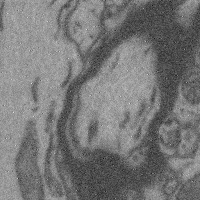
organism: Mouse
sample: Cerebral cortex